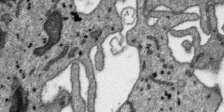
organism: Human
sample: Lung epithelial cells, uninfected (mock) control